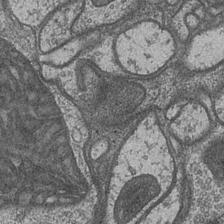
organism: Drosophila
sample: Optic medulla